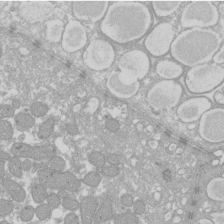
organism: Xenopus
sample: Cilia; centrioles in frog embryo cells